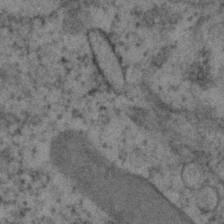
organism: Human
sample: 1205lu cells